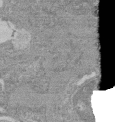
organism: Mouse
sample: Glomerulus